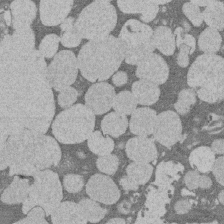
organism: Rat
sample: Salivary granule